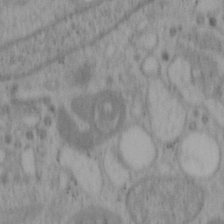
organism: Mouse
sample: OT-I killer T cells with ID8 ovarian cancer cells